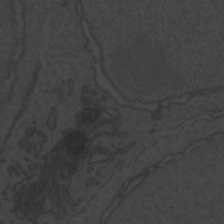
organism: Zebrafish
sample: Macrophage infected with Toxoplasma gondii